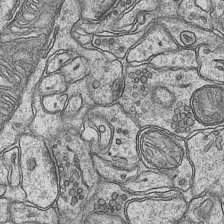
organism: Mouse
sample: CA1 Hippocampus